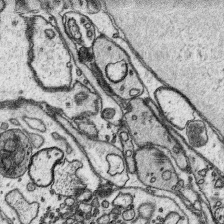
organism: Platynereis dumerilii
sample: Parapodia